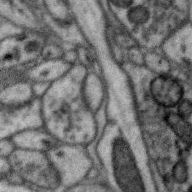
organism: Zebra finch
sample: Brain